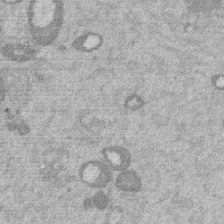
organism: Mouse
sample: Dividing mouse embryo 1 cell stage